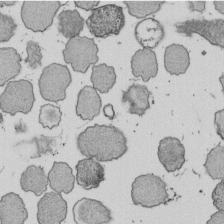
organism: E. coli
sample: Bacterial nucleoid